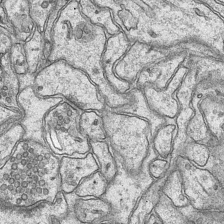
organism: Mouse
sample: CA1 Hippocampus